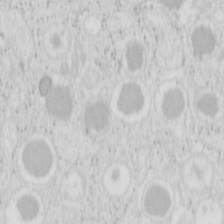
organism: Mouse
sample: Pancreas